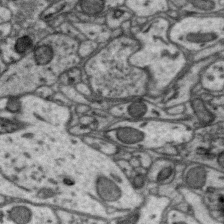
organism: Zebra finch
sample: Brain